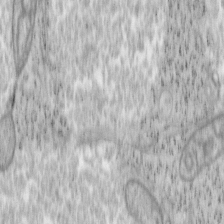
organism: Human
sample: HeLa cells